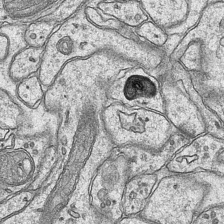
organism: Mouse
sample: CA1 Hippocampus